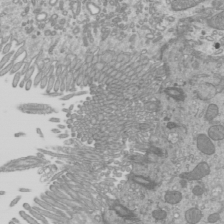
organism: Mouse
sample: Cilia; mouse epididymis